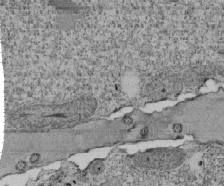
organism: Tetrahymena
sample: Cilia in tetrahymena